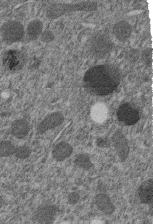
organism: C. elegans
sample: C. elegans embryo early stage